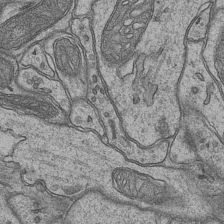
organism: Mouse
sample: CA1 Hippocampus